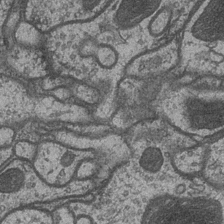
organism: Drosophila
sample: Optic medulla